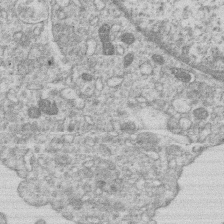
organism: Human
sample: Macrophage cells